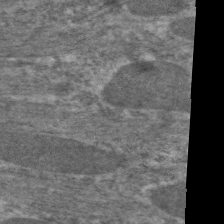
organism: C. elegans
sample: Pharynx